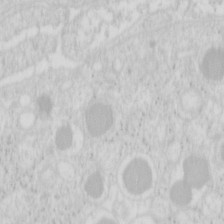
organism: Mouse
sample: Pancreas